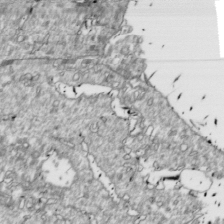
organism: Drosophila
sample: Cell division; meiosis; drosophila spermatocytes